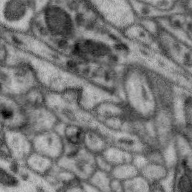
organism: Zebra finch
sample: Brain